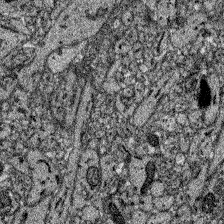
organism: Zebrafish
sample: Larval olfactory bulb